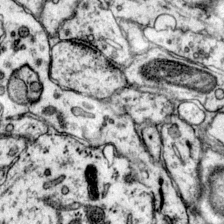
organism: Mouse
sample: Primary visual cortex